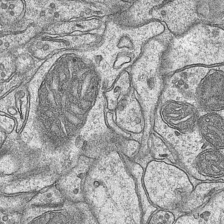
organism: Mouse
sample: CA1 Hippocampus